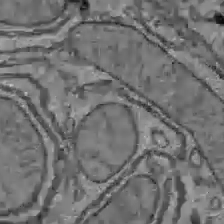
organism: C57BL Mouse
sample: Liver